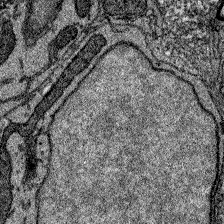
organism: Zebrafish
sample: Larval olfactory bulb